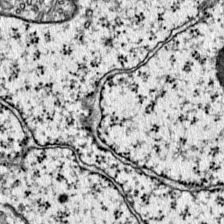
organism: Mouse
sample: Primary visual cortex